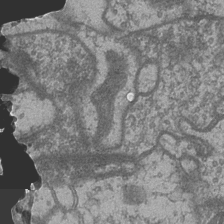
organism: Drosophila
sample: Optic medulla